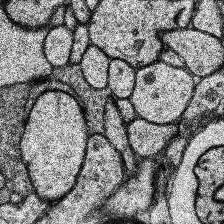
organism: Human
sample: Temporal Lobe